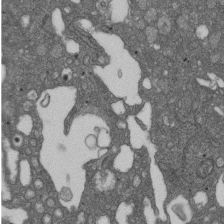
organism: Drosophila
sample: Nephrocyte